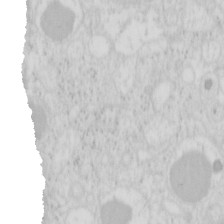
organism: Mouse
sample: Pancreas